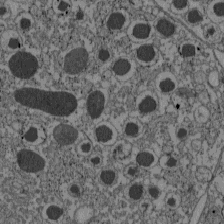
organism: C57BL Mouse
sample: Pancreatic islet